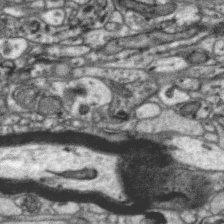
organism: Zebra finch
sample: Brain